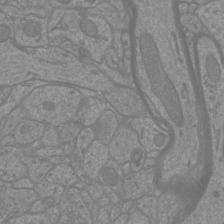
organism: Mouse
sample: Cortical neurons